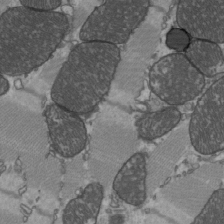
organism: C57BL Mouse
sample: Heart